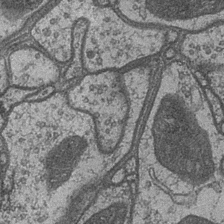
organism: Drosophila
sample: Optic medulla